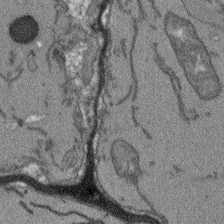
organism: Arabidopsis thaliana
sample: Root tip